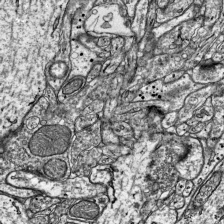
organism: Mouse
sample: Visual Cortex